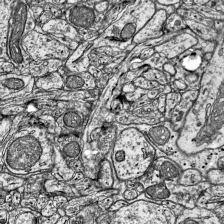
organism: Mouse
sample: Visual Cortex